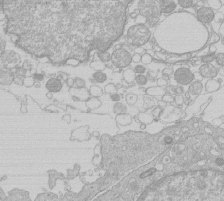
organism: Human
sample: Macrophage cells